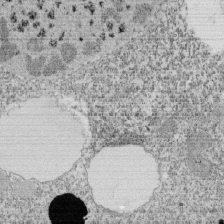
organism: Tetrahymena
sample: Cilia in tetrahymena